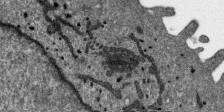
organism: Human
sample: Lung epithelial cells, uninfected (mock) control